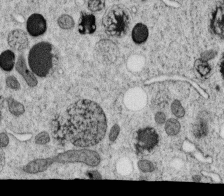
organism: C. elegans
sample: C. elegans oocyte; sperm cells